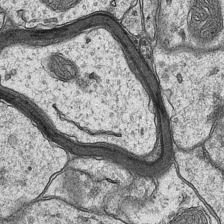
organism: Mouse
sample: CA1 Hippocampus